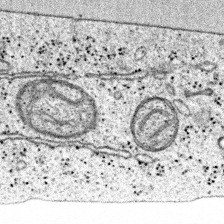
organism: Human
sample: HeLa cells